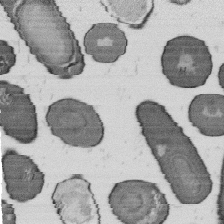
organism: B. subtilis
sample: Bacterial spore